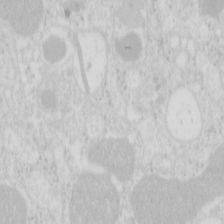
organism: Mouse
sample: Pancreas